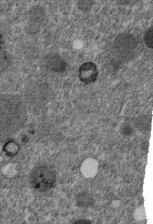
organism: C. elegans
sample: C. elegans embryo early stage